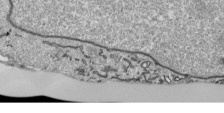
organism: Human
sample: Mitochondria in HCT116 cells